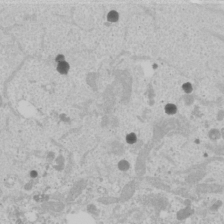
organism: Human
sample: Mitochondria in U2OS cells